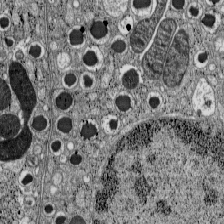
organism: C57BL Mouse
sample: Pancreatic islet